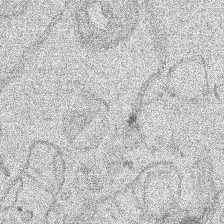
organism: Human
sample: Mitochondria in HCT116 cells